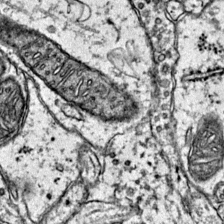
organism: Mouse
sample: Primary visual cortex